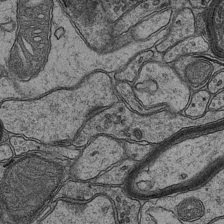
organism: Mouse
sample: CA1 Hippocampus